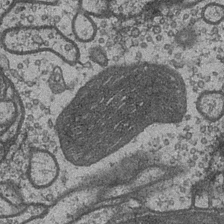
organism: Drosophila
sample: Optic medulla